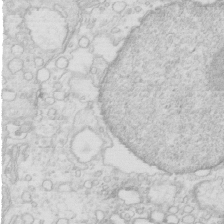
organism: Mouse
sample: Multiciliated cells